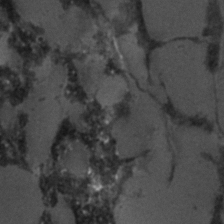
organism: C. elegans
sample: C. elegans embryo